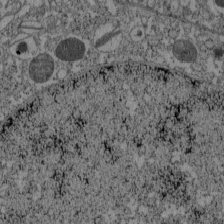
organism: C57BL Mouse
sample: Pancreatic islet